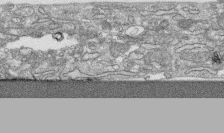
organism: Human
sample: CRL-1474